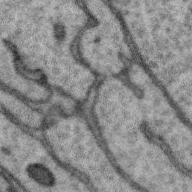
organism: Zebra finch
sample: Brain